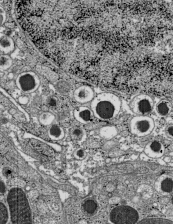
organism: C57BL Mouse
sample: Pancreatic islet